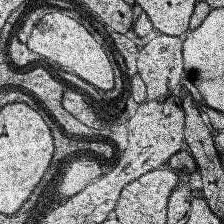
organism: Human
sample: Temporal Lobe